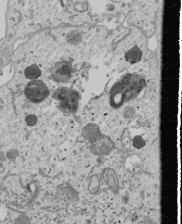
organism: Human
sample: Mitochondria in U2OS cells